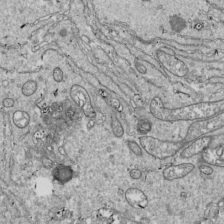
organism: Drosophila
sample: Cell division; meiosis; drosophila spermatocytes